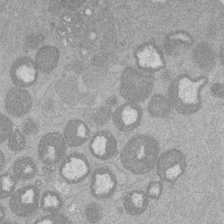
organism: Mouse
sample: Dividing mouse embryo 1 cell stage